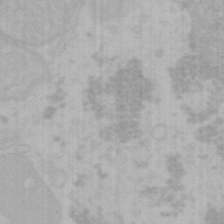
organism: Mouse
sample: Choroid plexus